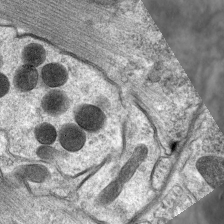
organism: C. elegans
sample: Pharynx